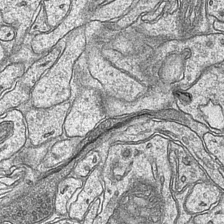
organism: Mouse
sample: CA1 Hippocampus